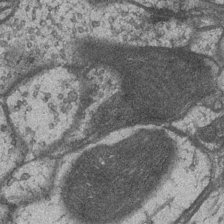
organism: Drosophila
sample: Optic medulla